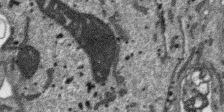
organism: Human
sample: Lung epithelial cells infected with SARS-CoV-2